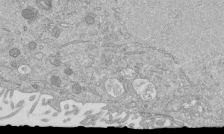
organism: Mouse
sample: ED-1 cell nuclei; centrioles